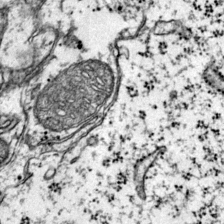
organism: Mouse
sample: Primary visual cortex